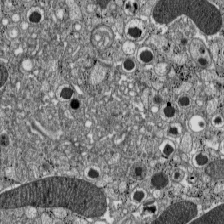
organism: C57BL Mouse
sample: Pancreatic islet